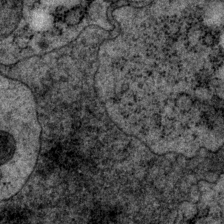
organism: P. pacificus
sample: Pharynx